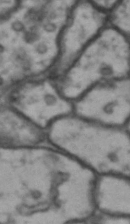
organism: Drosophila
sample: Brain